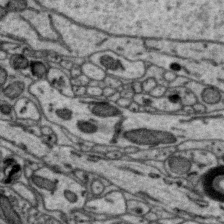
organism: Zebra finch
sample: Brain